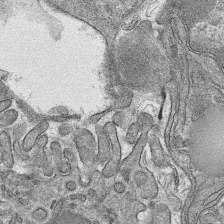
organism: Mouse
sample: Mouse hepatocytes